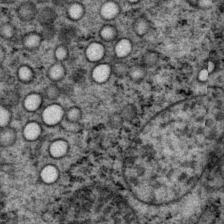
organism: P. pacificus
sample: Pharynx